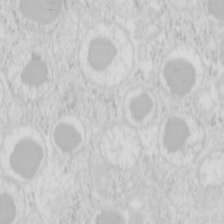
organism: Mouse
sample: Pancreas